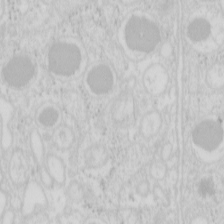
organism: Mouse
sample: Pancreas